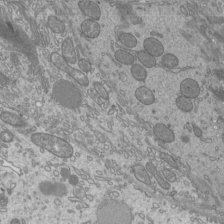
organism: Mouse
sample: Cilia; mouse epididymis